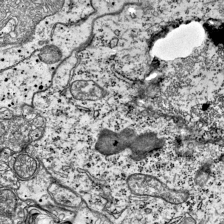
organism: Mouse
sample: Visual Cortex